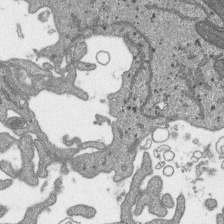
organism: Human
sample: Lung epithelial cells infected with SARS-CoV-2